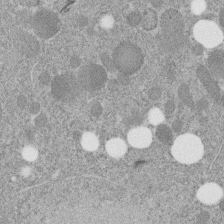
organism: C. elegans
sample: C. elegans embryo early stage